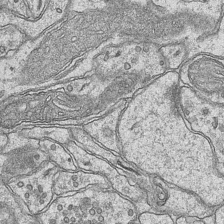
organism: Mouse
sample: CA1 Hippocampus